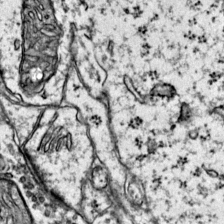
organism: Mouse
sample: Primary visual cortex